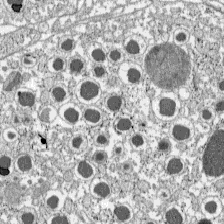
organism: C57BL Mouse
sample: Pancreatic islet